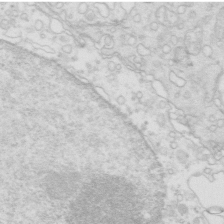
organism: Mouse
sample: Multiciliated cells